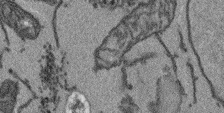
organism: Arabidopsis thaliana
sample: Root tip